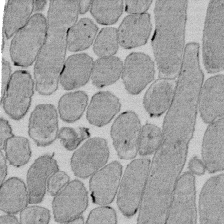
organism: E. coli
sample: Bacterial nucleoid